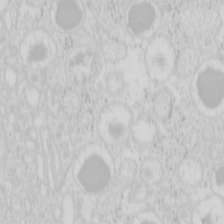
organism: Mouse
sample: Pancreas